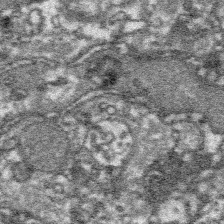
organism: Platynereis dumerilii